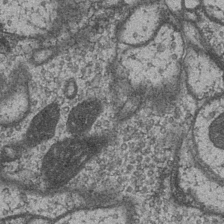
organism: Drosophila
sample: Optic medulla